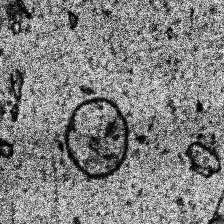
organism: Human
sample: Temporal Lobe